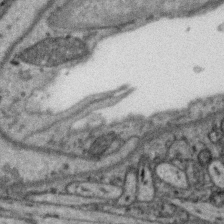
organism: Zebra finch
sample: Brain